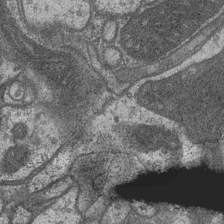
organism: Drosophila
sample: Optic medulla